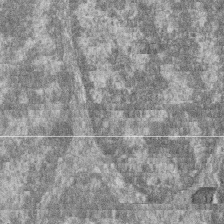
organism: Zebrafish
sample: Cilia; retinal pigment epithelium